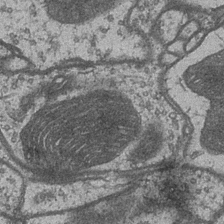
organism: Drosophila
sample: Optic medulla